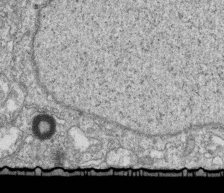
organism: Human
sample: HeLa cell HIV synapse